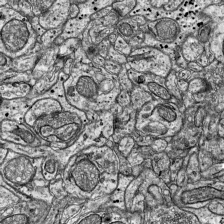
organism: Mouse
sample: Visual Cortex